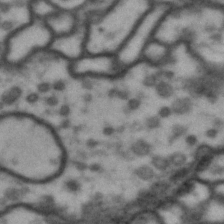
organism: Drosophila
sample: Brain